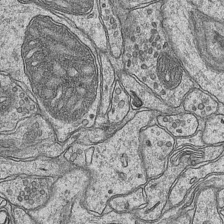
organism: Mouse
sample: CA1 Hippocampus